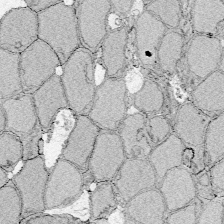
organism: Zebrafish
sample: Whole-Brain